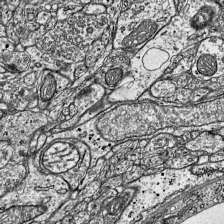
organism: Mouse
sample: Visual Cortex